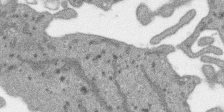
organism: Human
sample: Lung epithelial cells infected with SARS-CoV-2